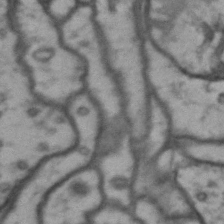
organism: Drosophila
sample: Brain